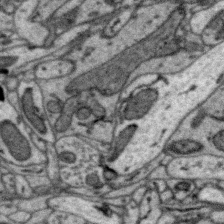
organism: Zebra finch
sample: Brain